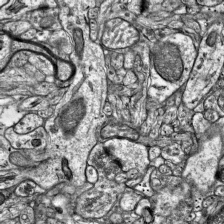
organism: Mouse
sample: Visual Cortex